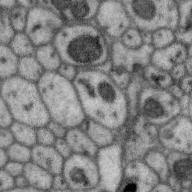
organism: Zebra finch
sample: Brain